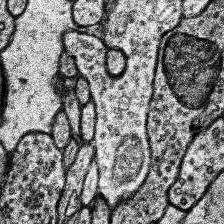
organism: Human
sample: Temporal Lobe